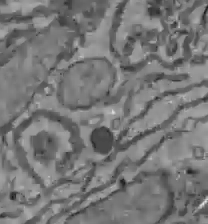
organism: C57BL Mouse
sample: Liver